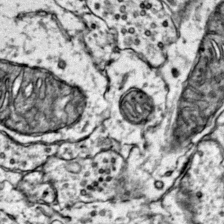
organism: Mouse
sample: Primary visual cortex